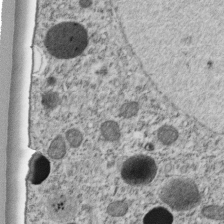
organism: C. elegans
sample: C. elegans embryo early stage